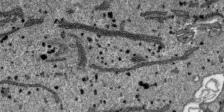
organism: Human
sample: Lung epithelial cells, uninfected (mock) control